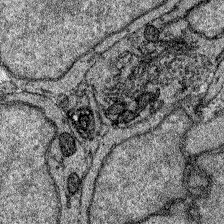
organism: Zebrafish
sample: Larval olfactory bulb